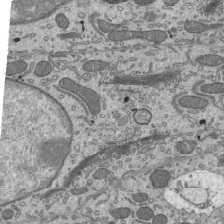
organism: Mouse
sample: Mouse epididymis efferent ductule cilia